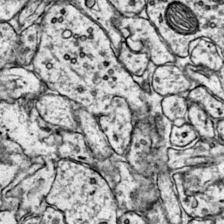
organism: Mouse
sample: Primary visual cortex